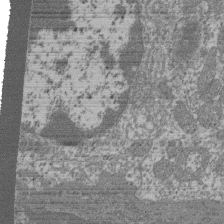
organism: Mouse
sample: Glomerulus